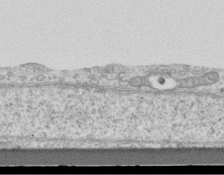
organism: Mouse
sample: Centriole in ependymal cells